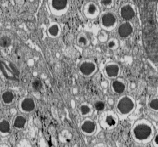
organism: C57BL Mouse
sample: Pancreatic islet